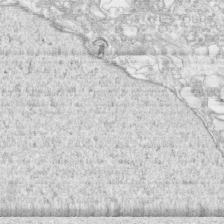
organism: Human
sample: CRL-1474